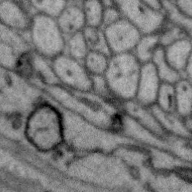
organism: Zebra finch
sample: Brain